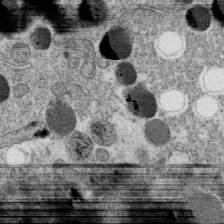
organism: C. elegans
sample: C. elegans oocyte; sperm cells